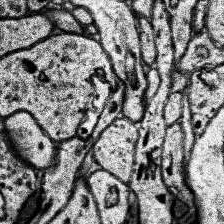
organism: Human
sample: Temporal Lobe